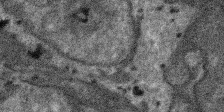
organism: Human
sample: Lung epithelial cells infected with SARS-CoV-2